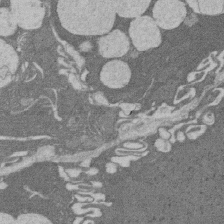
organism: Rat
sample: Salivary granule